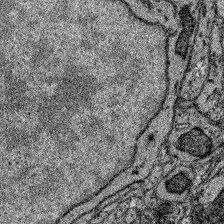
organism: Zebrafish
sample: Larval olfactory bulb